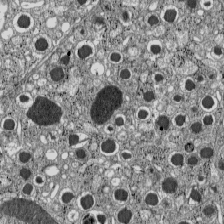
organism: C57BL Mouse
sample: Pancreatic islet